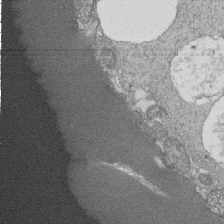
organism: Tetrahymena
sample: Cilia in tetrahymena